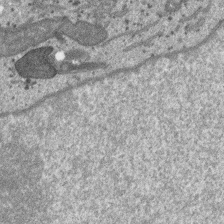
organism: Human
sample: Lung epithelial cells infected with SARS-CoV-2